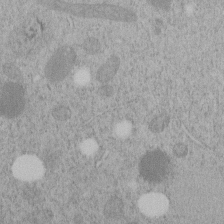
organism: C. elegans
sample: C. elegans embryo early stage